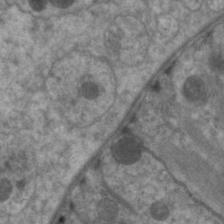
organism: C. elegans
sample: Pharynx